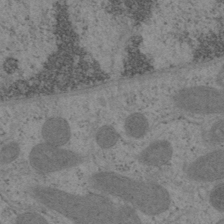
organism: Mouse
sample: OT-I killer T cells with ID8 ovarian cancer cells